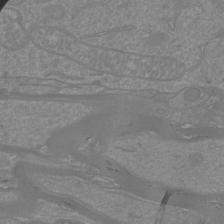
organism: Mouse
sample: Cortical neurons